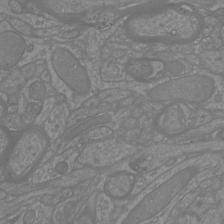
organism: Mouse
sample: Cortical neurons